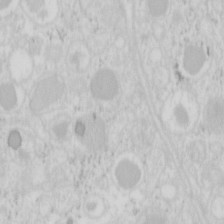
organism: Mouse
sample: Pancreas